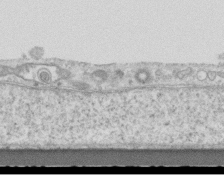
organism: Mouse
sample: Centriole in ependymal cells